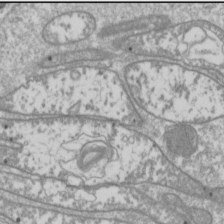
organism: Drosophila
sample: Cell division; meiosis; drosophila spermatocytes